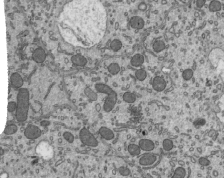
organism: Mouse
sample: Mouse epididymis efferent ductule cilia